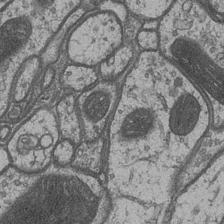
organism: Drosophila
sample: Optic medulla